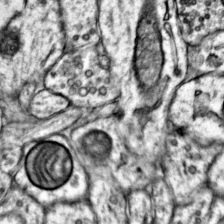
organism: Mouse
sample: Primary visual cortex